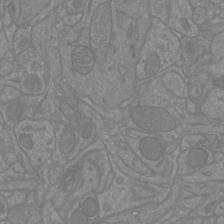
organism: Mouse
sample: Cortical neurons